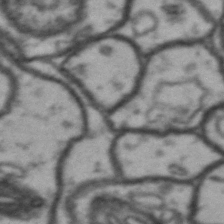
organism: Drosophila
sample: Brain